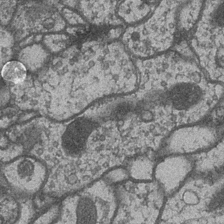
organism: Drosophila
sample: Optic medulla